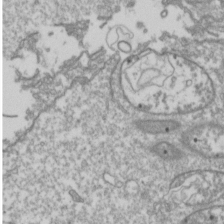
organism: Drosophila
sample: Cell division; meiosis; drosophila spermatocytes